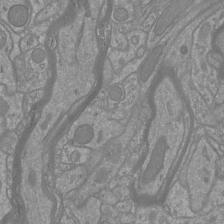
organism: Mouse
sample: Cortical neurons